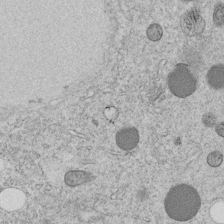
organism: C. elegans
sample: C. elegans embryo early stage